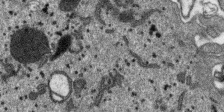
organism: Human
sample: Lung epithelial cells infected with SARS-CoV-2